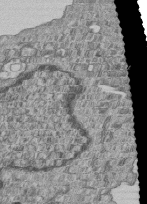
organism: Human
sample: MDA-MB-231 cells